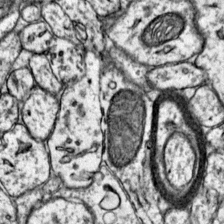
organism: Mouse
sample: Primary visual cortex